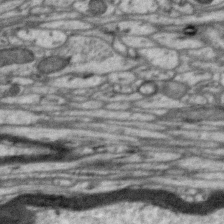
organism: Zebra finch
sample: Brain